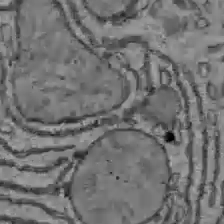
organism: C57BL Mouse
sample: Liver